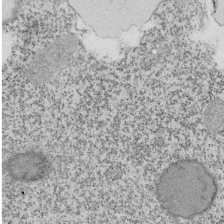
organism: Tetrahymena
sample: Cilia in tetrahymena